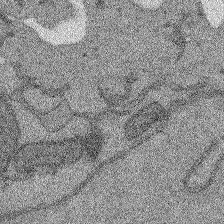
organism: Human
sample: HeLa cells